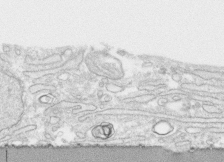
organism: Human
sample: CRL-1474